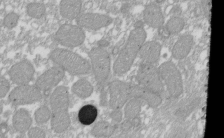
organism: Xenopus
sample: Cilia; centrioles in frog embryo cells